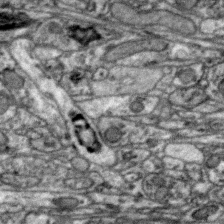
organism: Zebra finch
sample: Brain